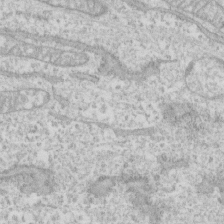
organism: Human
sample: CRL-1474